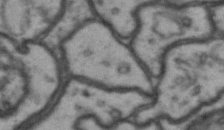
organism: Drosophila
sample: Brain